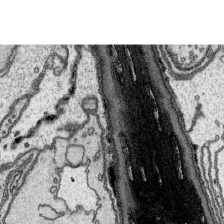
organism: Platynereis dumerilii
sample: Parapodia